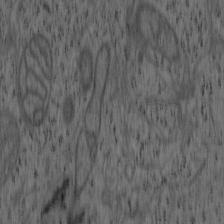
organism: Human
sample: HeLa cells